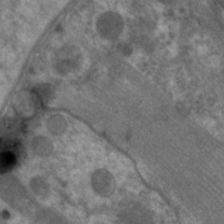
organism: C. elegans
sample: Pharynx